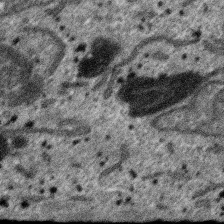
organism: Human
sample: Lung epithelial cells infected with SARS-CoV-2